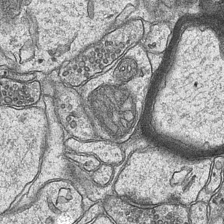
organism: Mouse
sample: CA1 Hippocampus